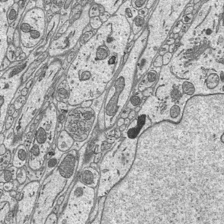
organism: Mouse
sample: Suprachiasmatic nucleus